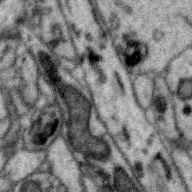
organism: Zebra finch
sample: Brain